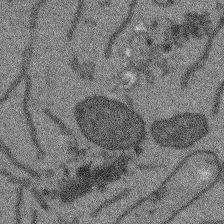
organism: Arabidopsis thaliana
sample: Root tip